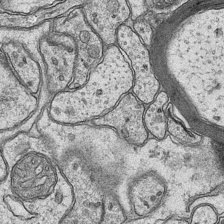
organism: Mouse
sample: CA1 Hippocampus